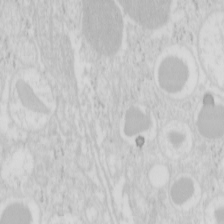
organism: Mouse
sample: Pancreas